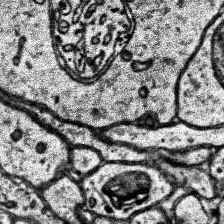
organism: Human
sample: Temporal Lobe